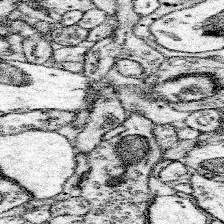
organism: Mouse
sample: Somatosensory cortex neuropil